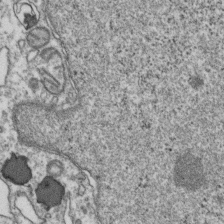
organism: Human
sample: Activated Jurkat CD4+ T cells